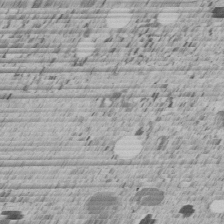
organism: C. elegans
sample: C. elegans embryo early stage